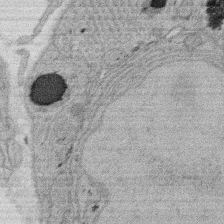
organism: Rat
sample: Salivary granule